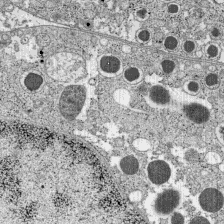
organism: C57BL Mouse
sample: Pancreatic islet